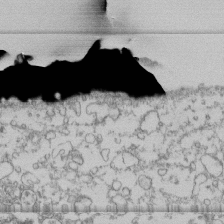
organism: Human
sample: Fibroblast cells